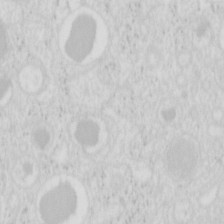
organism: Mouse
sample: Pancreas